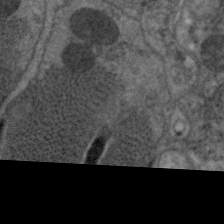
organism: C. elegans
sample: Pharynx